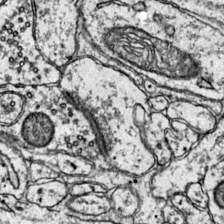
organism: Mouse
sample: Primary visual cortex